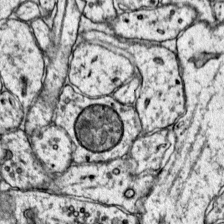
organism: Mouse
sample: Primary visual cortex